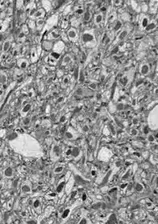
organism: Drosophila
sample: Optic lobe